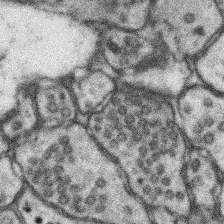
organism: Mouse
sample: Somatosensory cortex neuropil